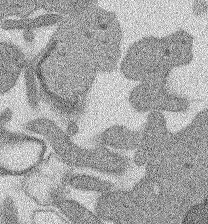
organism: Human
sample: HeLa cells